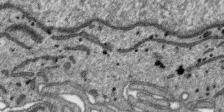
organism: Human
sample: Lung epithelial cells, uninfected (mock) control